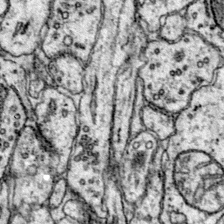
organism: Mouse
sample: Primary visual cortex